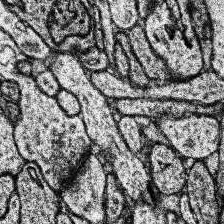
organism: Human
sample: Temporal Lobe